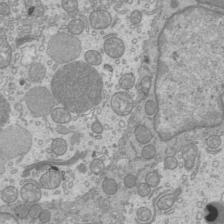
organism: Mouse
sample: Cilia; mouse epididymis